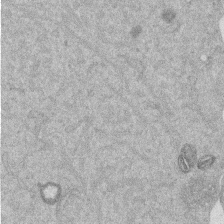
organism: Mouse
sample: Dividing mouse embryo 1 cell stage